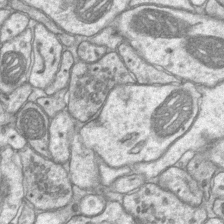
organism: Mouse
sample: CA1 Hippocampus